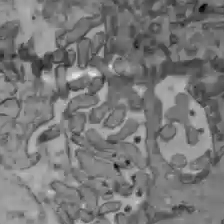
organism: C57BL Mouse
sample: Liver